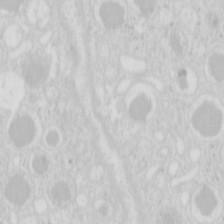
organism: Mouse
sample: Pancreas